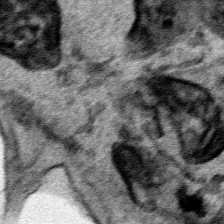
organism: Human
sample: Mitochondria in HCT116 cells